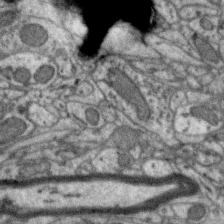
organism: Zebra finch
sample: Brain